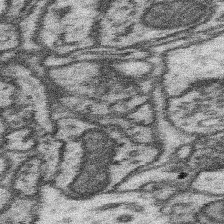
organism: Mouse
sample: Somatosensory cortex neuropil